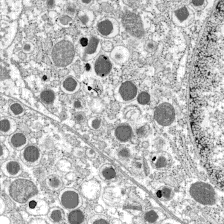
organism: C57BL Mouse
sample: Pancreatic islet